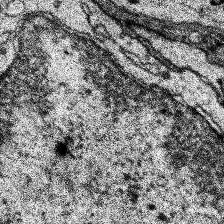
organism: Human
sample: Temporal Lobe